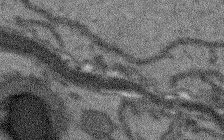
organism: Arabidopsis thaliana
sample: Root tip